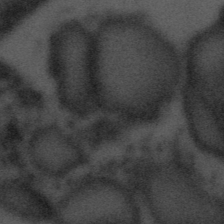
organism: Tuwongella immobilis